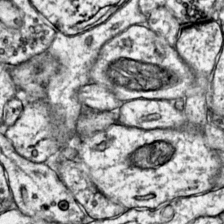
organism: Mouse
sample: Primary visual cortex